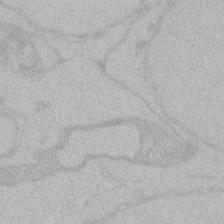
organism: Zebrafish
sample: Macrophage infected with Toxoplasma gondii